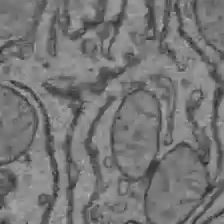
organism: C57BL Mouse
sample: Liver